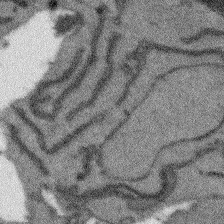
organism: Arabidopsis thaliana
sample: Root tip